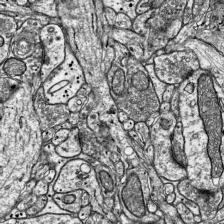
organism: Mouse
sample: Visual Cortex